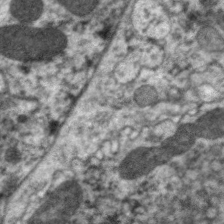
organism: C. elegans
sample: Pharynx